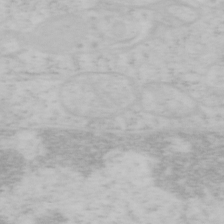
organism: Mouse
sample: OT-I killer T cells with ID8 ovarian cancer cells